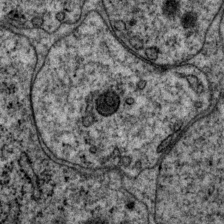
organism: P. pacificus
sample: Pharynx